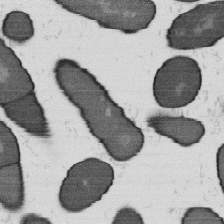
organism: B. subtilis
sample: Bacterial spore